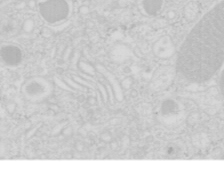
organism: Mouse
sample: Pancreas